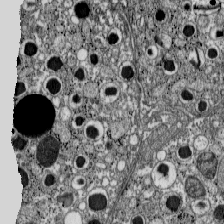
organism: C57BL Mouse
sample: Pancreatic islet